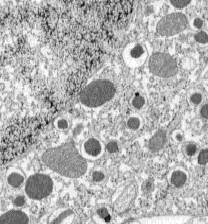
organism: C57BL Mouse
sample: Pancreatic islet